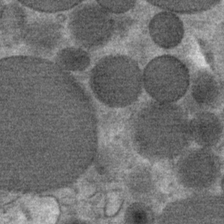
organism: Mouse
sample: Mouse Salivary gland